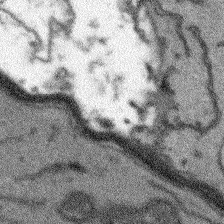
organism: Arabidopsis thaliana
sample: Root tip